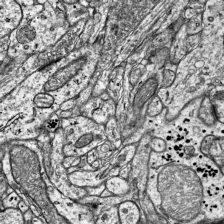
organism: Mouse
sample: Visual Cortex